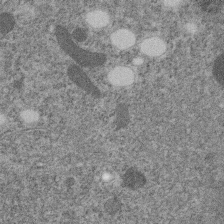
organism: C. elegans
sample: C. elegans embryo early stage